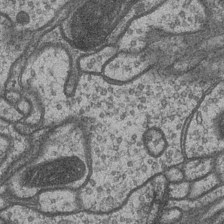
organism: Drosophila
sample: Optic medulla